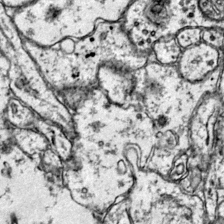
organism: Mouse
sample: Primary visual cortex